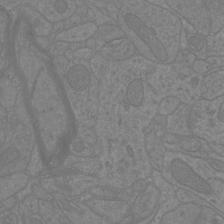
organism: Mouse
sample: Cortical neurons